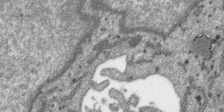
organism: Human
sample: Lung epithelial cells infected with SARS-CoV-2